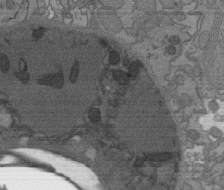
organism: C. elegans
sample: AFD neurons C. elegans